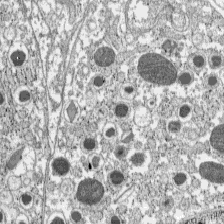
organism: C57BL Mouse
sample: Pancreatic islet